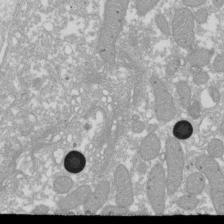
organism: Xenopus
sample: Cilia; centrioles in frog embryo cells